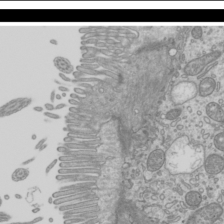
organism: Mouse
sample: Cilia; mouse epididymis